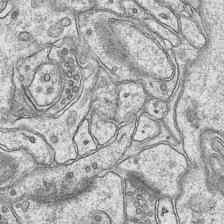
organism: Mouse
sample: CA1 Hippocampus